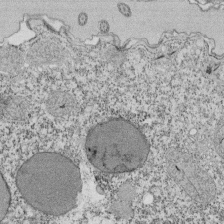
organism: Tetrahymena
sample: Cilia in tetrahymena